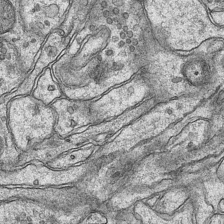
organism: Mouse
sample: CA1 Hippocampus